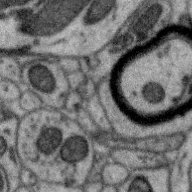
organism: Zebra finch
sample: Brain